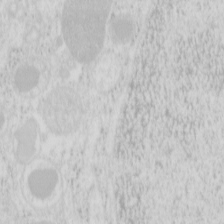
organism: Mouse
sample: Pancreas